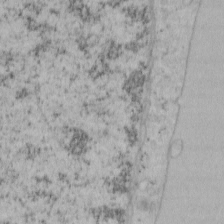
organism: Human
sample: HeLa cells